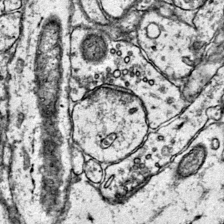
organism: Mouse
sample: Primary visual cortex